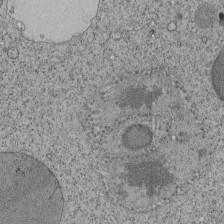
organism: Tetrahymena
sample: Cilia in tetrahymena